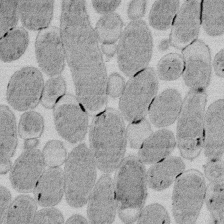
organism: E. coli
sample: Bacterial nucleoid